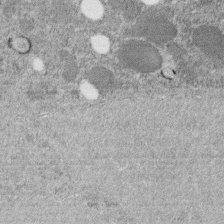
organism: C. elegans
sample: C. elegans embryo early stage